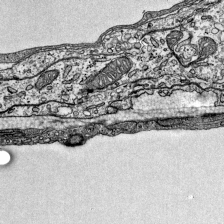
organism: Mouse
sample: Visual Cortex